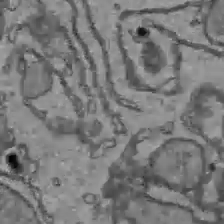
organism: C57BL Mouse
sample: Liver